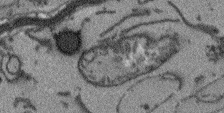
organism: Arabidopsis thaliana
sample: Root tip